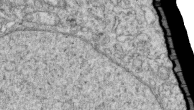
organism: Human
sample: HeLa cell HIV synapse